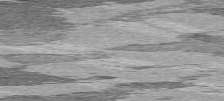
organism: C57BL Mouse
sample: Heart